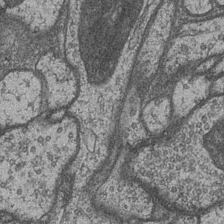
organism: Drosophila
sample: Optic medulla